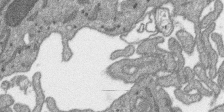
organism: Human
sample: Lung epithelial cells infected with SARS-CoV-2